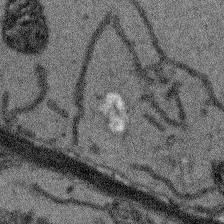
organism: Arabidopsis thaliana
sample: Root tip